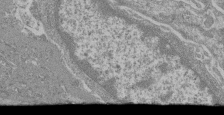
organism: Mouse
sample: Glomerulus